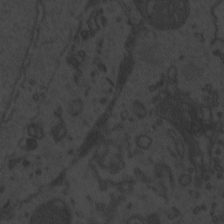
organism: Zebrafish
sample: Macrophage infected with Toxoplasma gondii